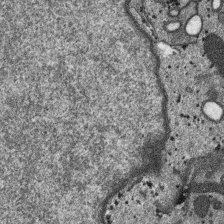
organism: Human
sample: Lung epithelial cells infected with SARS-CoV-2